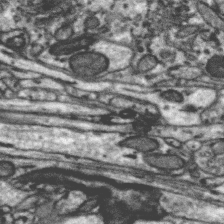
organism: Zebra finch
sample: Brain